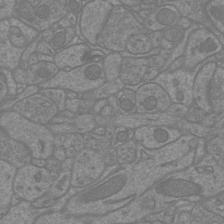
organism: Mouse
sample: Cortical neurons